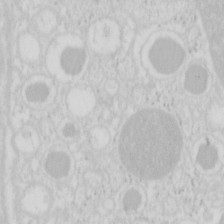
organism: Mouse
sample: Pancreas